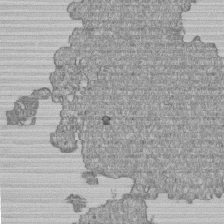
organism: Human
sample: MDA-MB-231 cells